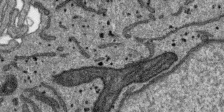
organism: Human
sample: Lung epithelial cells, uninfected (mock) control